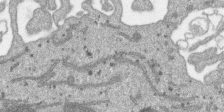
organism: Human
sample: Lung epithelial cells infected with SARS-CoV-2